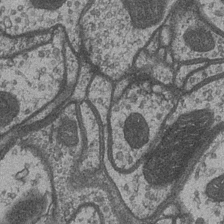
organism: Drosophila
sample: Optic medulla